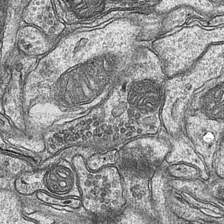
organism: Mouse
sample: CA1 Hippocampus